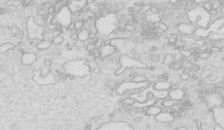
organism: Mouse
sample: Multiciliated cells